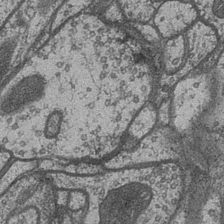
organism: Drosophila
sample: Optic medulla